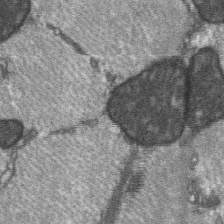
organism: C57BL Mouse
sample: Soleus